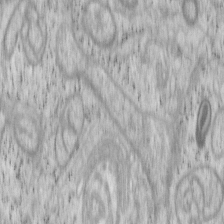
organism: Human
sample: HeLa cells